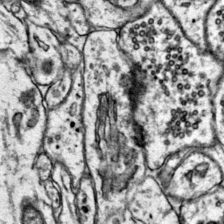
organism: Mouse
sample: Primary visual cortex